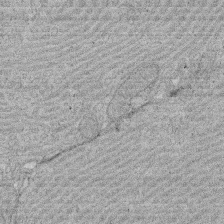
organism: Rat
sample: Salivary granule